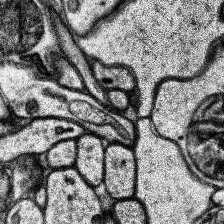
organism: Human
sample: Temporal Lobe